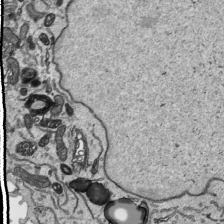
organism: Human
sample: Mitochondria in HCT116 cells